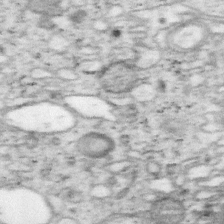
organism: Mouse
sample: OT-I killer T cells with ID8 ovarian cancer cells